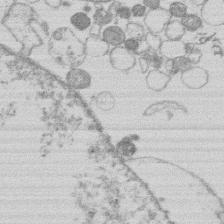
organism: Human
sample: Macrophage cells